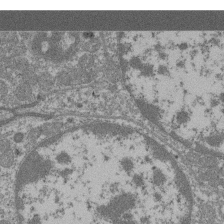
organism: Mouse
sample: Glomerulus